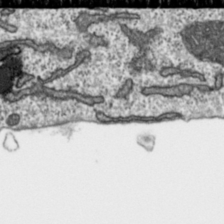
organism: Toxoplasma gondii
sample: Parasites in a vacuole inside a host cell